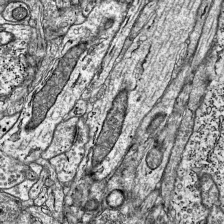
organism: Mouse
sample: Visual Cortex